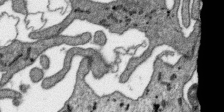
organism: Human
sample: Lung epithelial cells, uninfected (mock) control